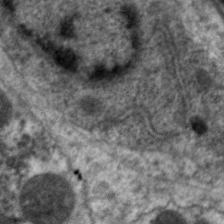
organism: C. elegans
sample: Pharynx